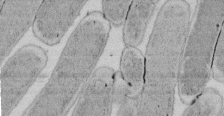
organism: E. coli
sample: Bacterial nucleoid